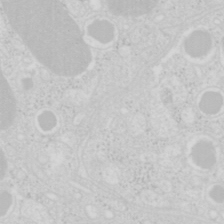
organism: Mouse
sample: Pancreas